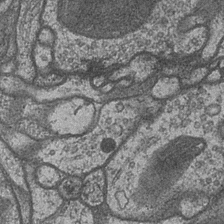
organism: Drosophila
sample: Optic medulla